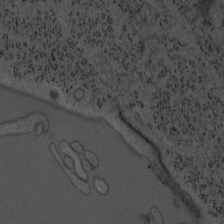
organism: Mouse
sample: OT-I killer T cells with ID8 ovarian cancer cells